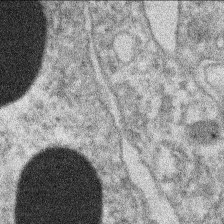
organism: Xenopus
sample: Cilia; centrioles in frog embryo cells